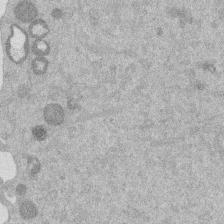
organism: Mouse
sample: Dividing mouse embryo 1 cell stage